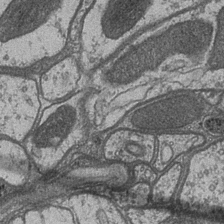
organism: Drosophila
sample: Optic medulla